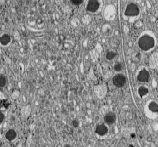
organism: C57BL Mouse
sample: Pancreatic islet